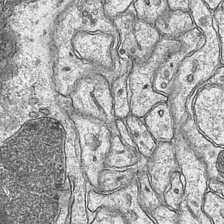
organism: Mouse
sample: CA1 Hippocampus